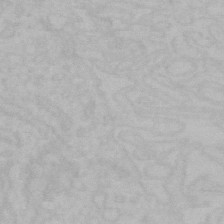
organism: Mouse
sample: Choroid plexus